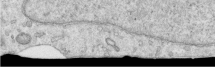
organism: Human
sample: Centriole in RPE cells